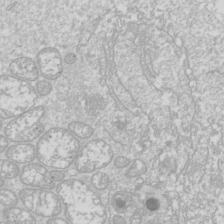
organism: Drosophila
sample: Cell division; meiosis; drosophila spermatocytes